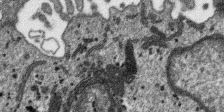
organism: Human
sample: Lung epithelial cells infected with SARS-CoV-2